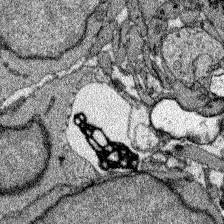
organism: Zebrafish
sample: Larval olfactory bulb